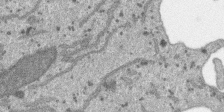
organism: Human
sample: Lung epithelial cells infected with SARS-CoV-2